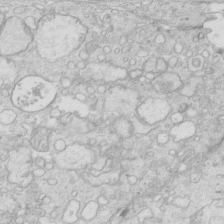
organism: Mouse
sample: Multiciliated cells